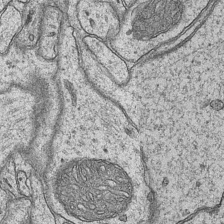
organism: Mouse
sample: CA1 Hippocampus